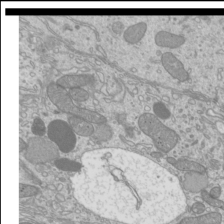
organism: Mouse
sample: Cilia; mouse epididymis